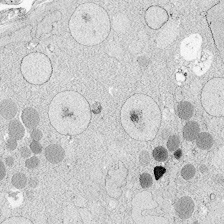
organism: Zebrafish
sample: Whole-Brain